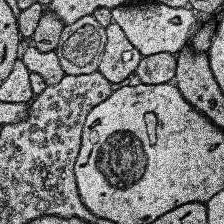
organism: Human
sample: Temporal Lobe